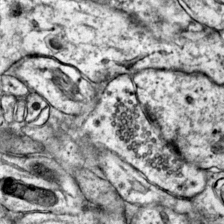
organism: Mouse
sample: Primary visual cortex